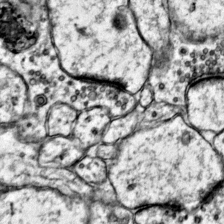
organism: Mouse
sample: Primary visual cortex